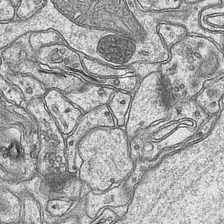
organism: Mouse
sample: CA1 Hippocampus